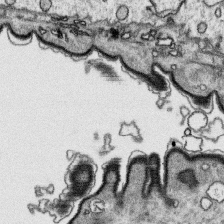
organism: Platynereis dumerilii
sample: Parapodia